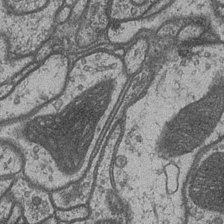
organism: Drosophila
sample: Optic medulla